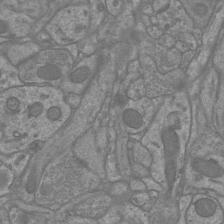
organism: Mouse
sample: Cortical neurons